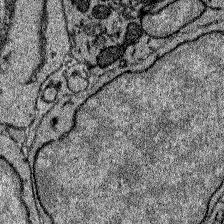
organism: Zebrafish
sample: Larval olfactory bulb